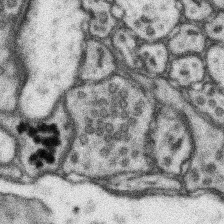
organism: Mouse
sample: Somatosensory cortex neuropil